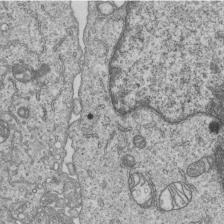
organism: Human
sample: MDA-MB-231 cells